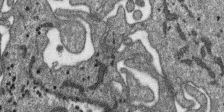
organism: Human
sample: Lung epithelial cells infected with SARS-CoV-2